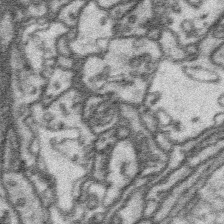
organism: Platynereis dumerilii